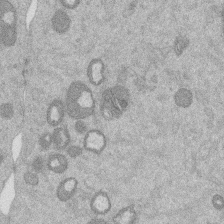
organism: Mouse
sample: Dividing mouse embryo 1 cell stage